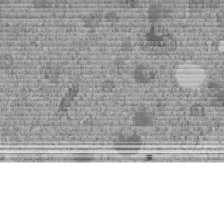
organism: C. elegans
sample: C. elegans embryo early stage